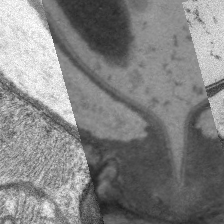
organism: C. elegans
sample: Pharynx